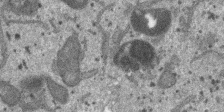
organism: Human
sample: Lung epithelial cells infected with SARS-CoV-2